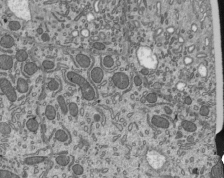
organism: Mouse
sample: Mouse epididymis efferent ductule cilia